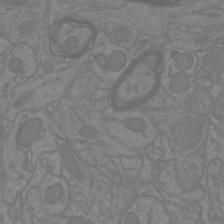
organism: Mouse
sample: Cortical neurons